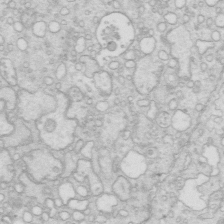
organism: Mouse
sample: Multiciliated cells